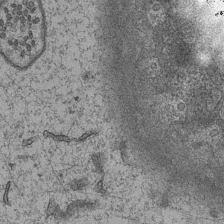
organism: Mouse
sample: CA1 Hippocampus